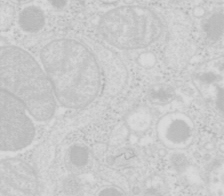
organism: Mouse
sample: Pancreas